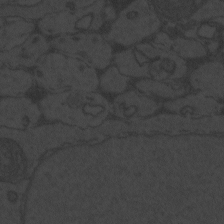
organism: Zebrafish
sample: Macrophage infected with Toxoplasma gondii